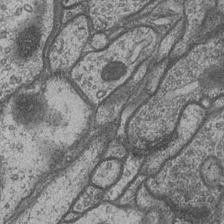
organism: Drosophila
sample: Optic medulla